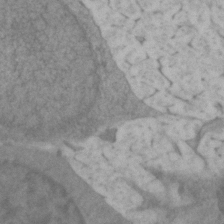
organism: Zebrafish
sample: Zebrafish embryo